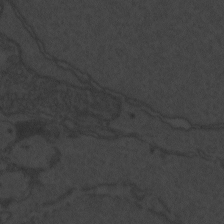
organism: Zebrafish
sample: Macrophage infected with Toxoplasma gondii